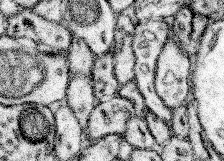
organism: Mouse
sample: Somatosensory cortex neuropil